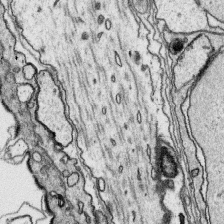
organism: Platynereis dumerilii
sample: Parapodia